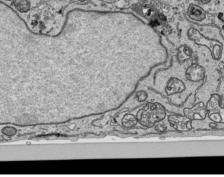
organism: Human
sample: Mitochondria in HCT116 cells